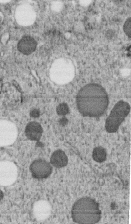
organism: C. elegans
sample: C. elegans embryo early stage